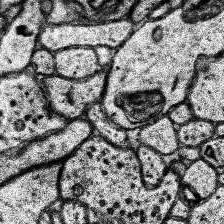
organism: Human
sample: Temporal Lobe